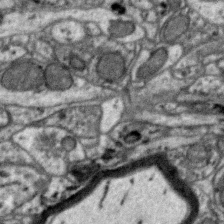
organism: Zebra finch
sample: Brain